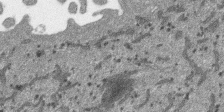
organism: Human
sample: Lung epithelial cells infected with SARS-CoV-2